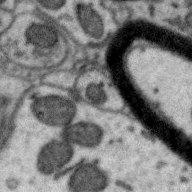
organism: Zebra finch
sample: Brain